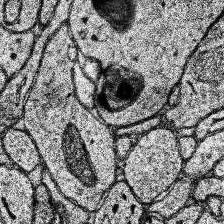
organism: Human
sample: Temporal Lobe